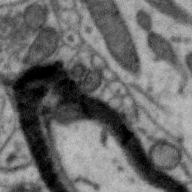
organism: Zebra finch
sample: Brain